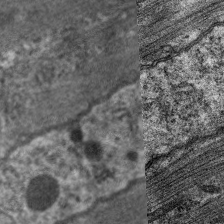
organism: C. elegans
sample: Pharynx